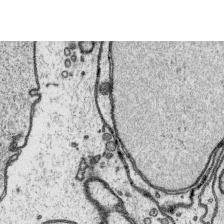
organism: Platynereis dumerilii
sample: Parapodia